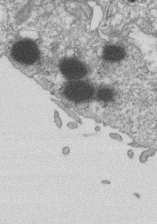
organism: Human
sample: HeLa cell HIV synapse